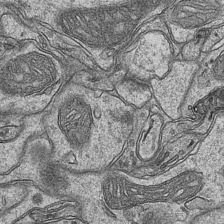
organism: Mouse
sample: CA1 Hippocampus